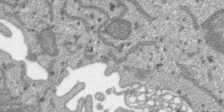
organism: Human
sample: Lung epithelial cells infected with SARS-CoV-2